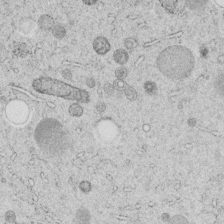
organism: C. elegans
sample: C. elegans embryo early stage